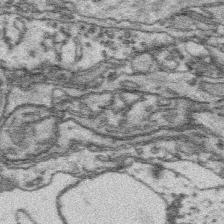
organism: Platynereis dumerilii